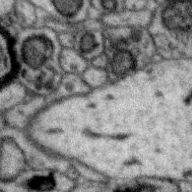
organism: Zebra finch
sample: Brain